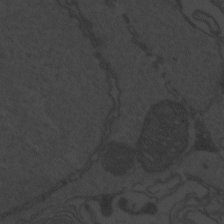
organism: Zebrafish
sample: Macrophage infected with Toxoplasma gondii